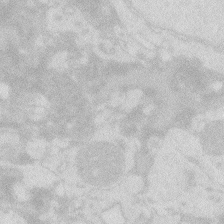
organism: Zebrafish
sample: Macrophage